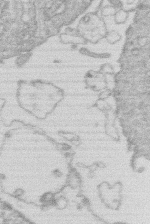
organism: Human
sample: Macrophage cells